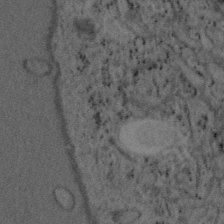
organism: Human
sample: HeLa cells